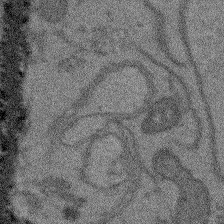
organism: Arabidopsis thaliana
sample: Root tip